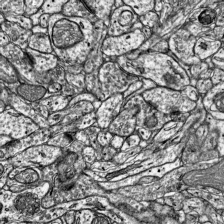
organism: Mouse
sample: Visual Cortex